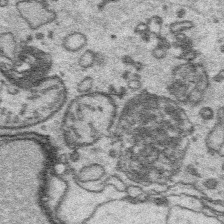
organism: Platynereis dumerilii